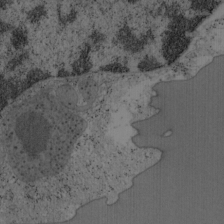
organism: Mouse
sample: OT-I killer T cells with ID8 ovarian cancer cells